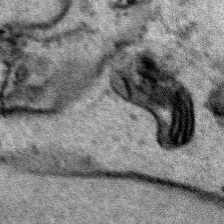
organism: Human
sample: Mitochondria in HCT116 cells